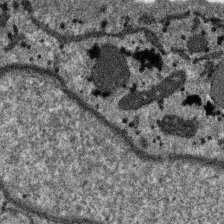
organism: Human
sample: Lung epithelial cells infected with SARS-CoV-2